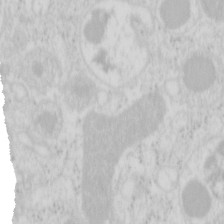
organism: Mouse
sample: Pancreas